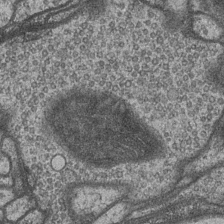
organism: Drosophila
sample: Optic medulla